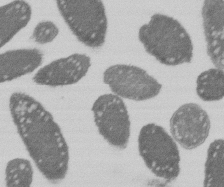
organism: E. coli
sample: Bacterial nucleoid